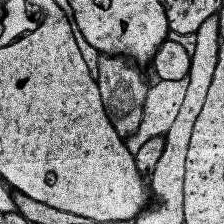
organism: Human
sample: Temporal Lobe